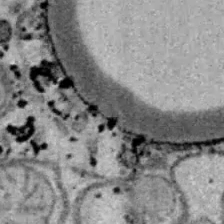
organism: Mouse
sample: Liver from an obese (ob/ob) mouse